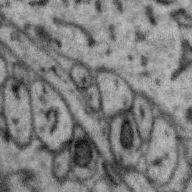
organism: Zebra finch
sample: Brain